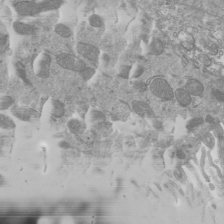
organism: Mouse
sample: Cilia; mouse epididymis